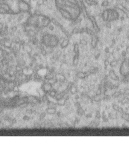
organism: Human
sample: Centriole in RPE cells